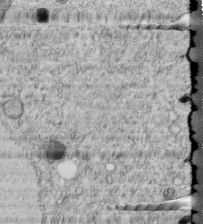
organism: C. elegans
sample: C. elegans embryo early stage